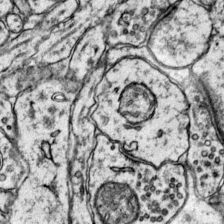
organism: Mouse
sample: Primary visual cortex